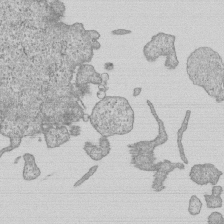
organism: Human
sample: MDA-MB-231 cells